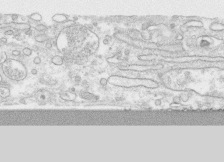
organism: Human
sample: CRL-1474